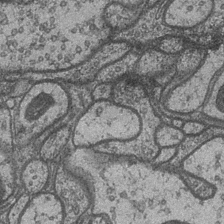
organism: Drosophila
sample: Optic medulla